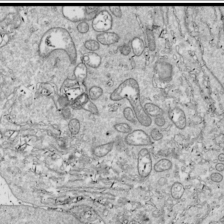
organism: Drosophila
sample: Cell division; meiosis; drosophila spermatocytes